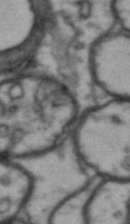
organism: Drosophila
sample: Brain